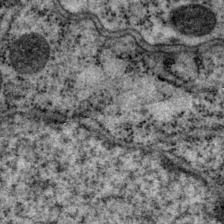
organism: P. pacificus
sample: Pharynx